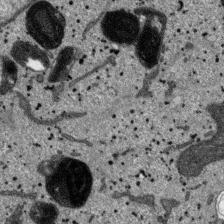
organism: Human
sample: Lung epithelial cells, uninfected (mock) control